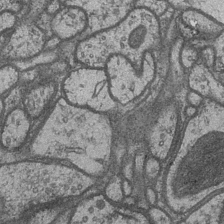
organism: Drosophila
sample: Optic medulla